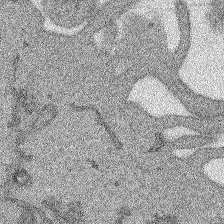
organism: Human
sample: HeLa cells